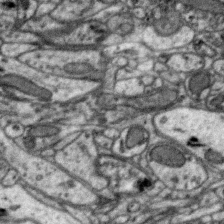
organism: Zebra finch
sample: Brain